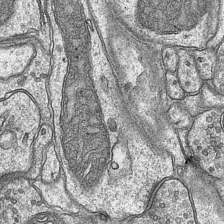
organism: Mouse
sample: CA1 Hippocampus